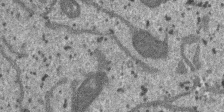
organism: Human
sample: Lung epithelial cells infected with SARS-CoV-2